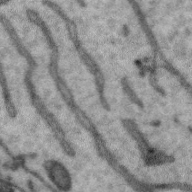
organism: Zebra finch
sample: Brain